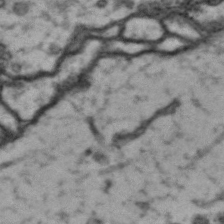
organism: Drosophila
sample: Brain